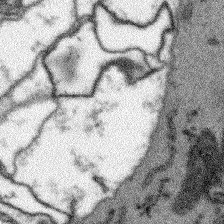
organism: Arabidopsis thaliana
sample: Root tip